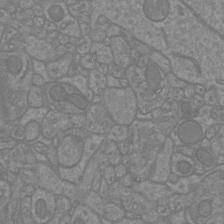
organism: Mouse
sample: Cortical neurons